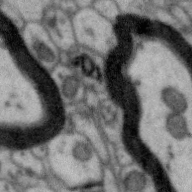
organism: Zebra finch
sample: Brain